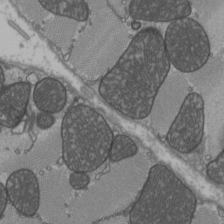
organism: C57BL Mouse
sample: Heart